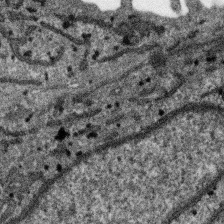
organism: Human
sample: Lung epithelial cells infected with SARS-CoV-2